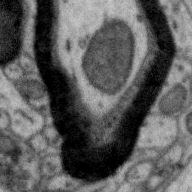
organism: Zebra finch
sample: Brain